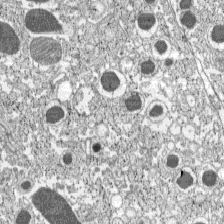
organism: C57BL Mouse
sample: Pancreatic islet